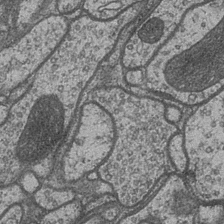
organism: Drosophila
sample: Optic medulla